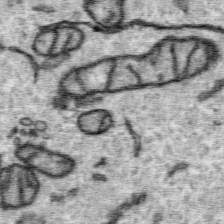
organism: Human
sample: HeLa cells